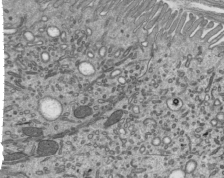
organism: Mouse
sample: Mouse epididymis efferent ductule cilia